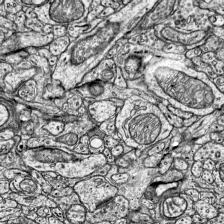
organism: Mouse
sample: Visual Cortex